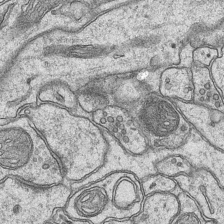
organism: Mouse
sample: CA1 Hippocampus